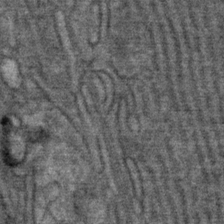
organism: Mouse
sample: Mouse Salivary gland